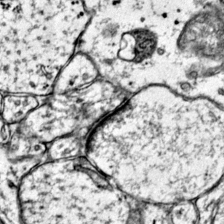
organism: Mouse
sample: Primary visual cortex